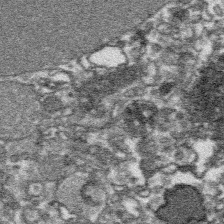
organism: Platynereis dumerilii